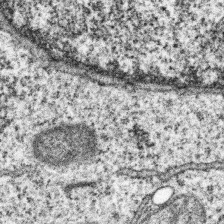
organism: Human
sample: HeLa cells